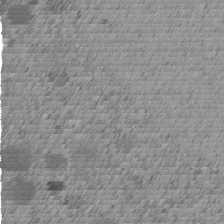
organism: C. elegans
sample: C. elegans embryo early stage